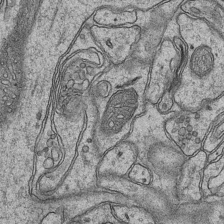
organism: Mouse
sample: CA1 Hippocampus